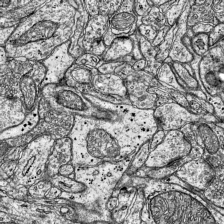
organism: Mouse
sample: Visual Cortex